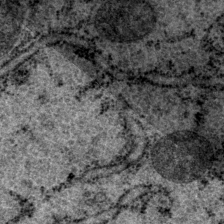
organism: P. pacificus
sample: Pharynx